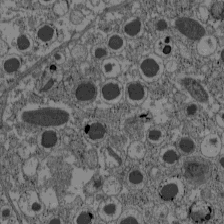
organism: C57BL Mouse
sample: Pancreatic islet